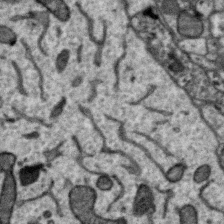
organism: Zebra finch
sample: Brain